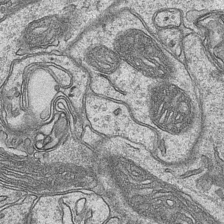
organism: Mouse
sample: CA1 Hippocampus